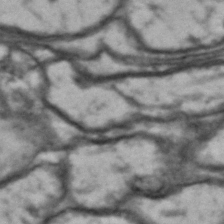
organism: Drosophila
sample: Brain